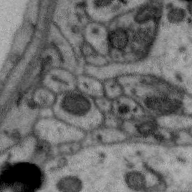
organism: Zebra finch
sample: Brain